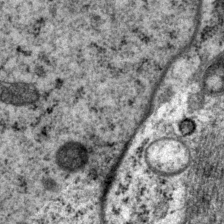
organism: P. pacificus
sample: Pharynx